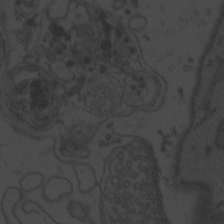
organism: Zebrafish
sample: Macrophage infected with Toxoplasma gondii